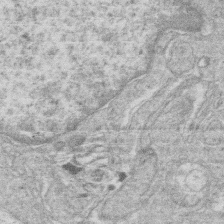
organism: Human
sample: Macrophage cells